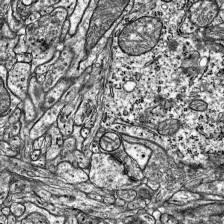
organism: Mouse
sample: Visual Cortex